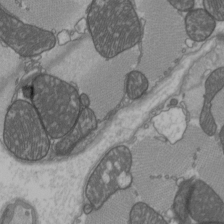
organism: C57BL Mouse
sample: Heart